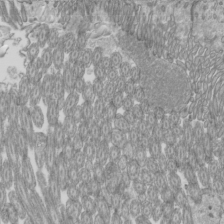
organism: Mouse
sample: Cilia; mouse epididymis